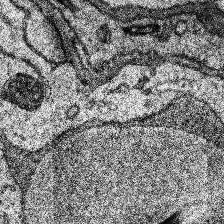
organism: Human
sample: Temporal Lobe